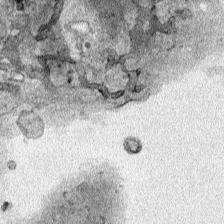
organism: Human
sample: Mitochondria in HCT116 cells